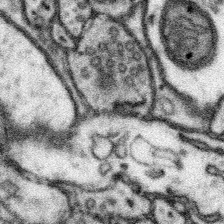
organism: Mouse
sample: Somatosensory cortex neuropil